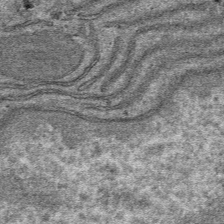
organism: Mouse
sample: Mouse hepatocytes